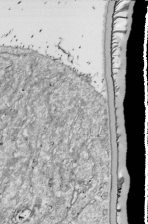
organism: Drosophila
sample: Cell division; meiosis; drosophila spermatocytes